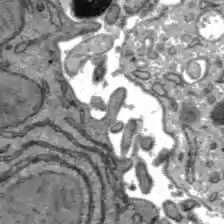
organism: C57BL Mouse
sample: Liver